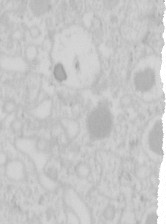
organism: Mouse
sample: Pancreas